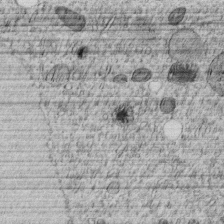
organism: C. elegans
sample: C. elegans embryo early stage